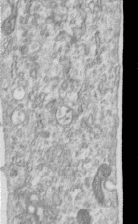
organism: Human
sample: Centriole in RPE cells